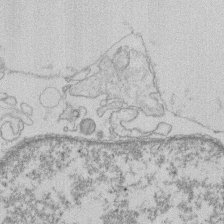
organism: Human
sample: Macrophage cells